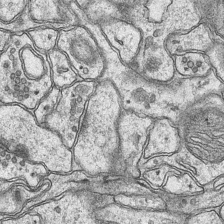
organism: Mouse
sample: CA1 Hippocampus